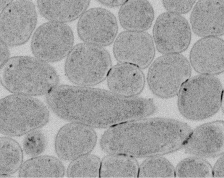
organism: E. coli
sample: Bacterial nucleoid